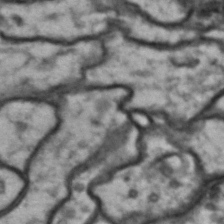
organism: Drosophila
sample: Brain